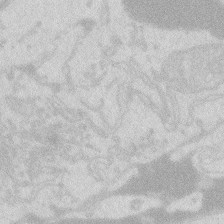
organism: Zebrafish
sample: Macrophage